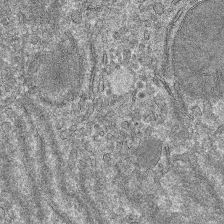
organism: Mouse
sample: Mouse hepatocytes